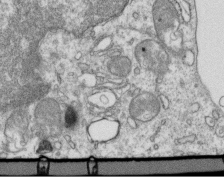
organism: Mouse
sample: Activated OT-1 CD8+ T cells